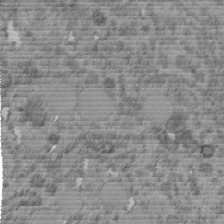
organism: C. elegans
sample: C. elegans embryo early stage